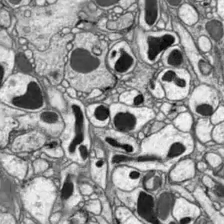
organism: Drosophila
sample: Optic lobe